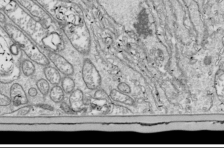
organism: Drosophila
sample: Cell division; meiosis; drosophila spermatocytes